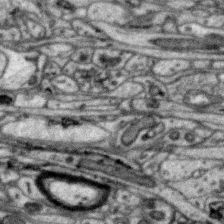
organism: Zebra finch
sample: Brain